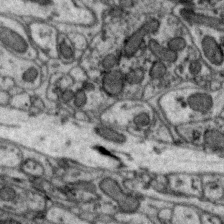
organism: Zebra finch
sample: Brain